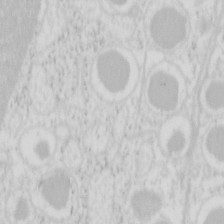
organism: Mouse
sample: Pancreas